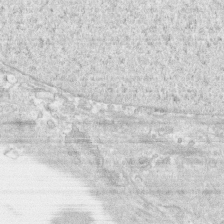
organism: Human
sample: CRL-1474